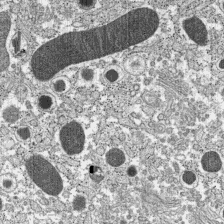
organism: C57BL Mouse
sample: Pancreatic islet